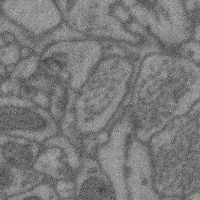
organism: Mouse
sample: Cerebral cortex